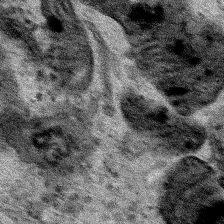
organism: Human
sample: Mitochondria in HCT116 cells